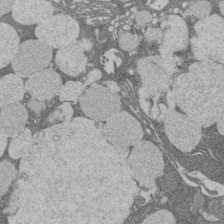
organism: Rat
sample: Salivary granule